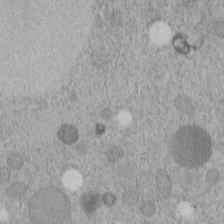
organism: C. elegans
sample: C. elegans embryo early stage